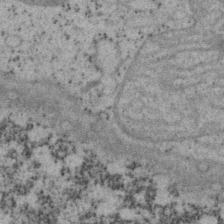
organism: Human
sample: HeLa cells